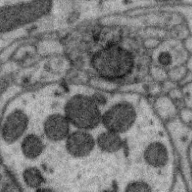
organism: Zebra finch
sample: Brain